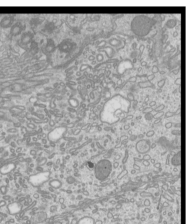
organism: Mouse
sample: Cilia; mouse epididymis